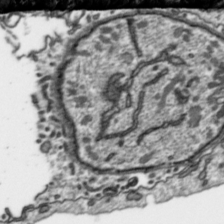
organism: Toxoplasma gondii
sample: Parasites in a vacuole inside a host cell